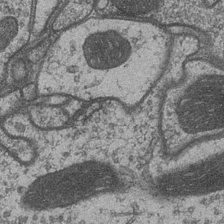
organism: Drosophila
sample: Optic medulla